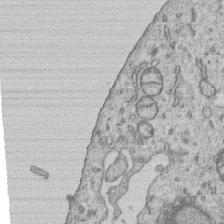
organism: Human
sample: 1205lu cells